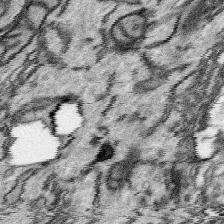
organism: Human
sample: HeLa cells